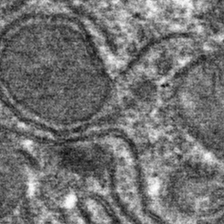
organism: Mouse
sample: Mouse hepatocytes